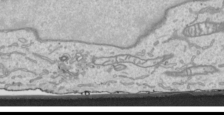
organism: Human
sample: Mitochondria in HCT116 cells